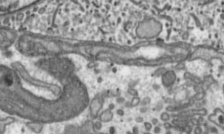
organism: Toxoplasma gondii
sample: Parasites in a vacuole inside a host cell